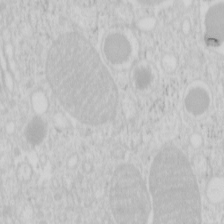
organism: Mouse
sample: Pancreas